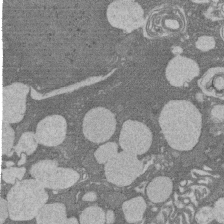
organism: Rat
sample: Salivary granule